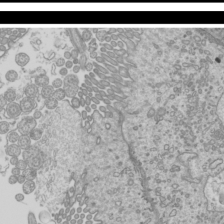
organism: Mouse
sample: Cilia; mouse epididymis